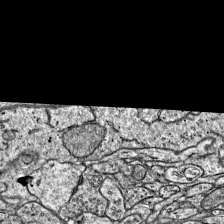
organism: Mouse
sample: Visual Cortex